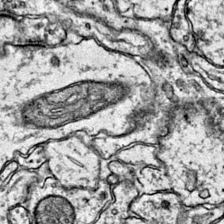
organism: Mouse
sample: Primary visual cortex